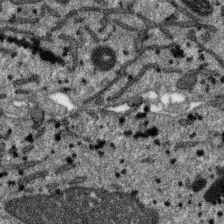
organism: Human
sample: Lung epithelial cells infected with SARS-CoV-2